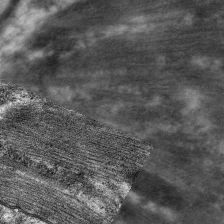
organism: C. elegans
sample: Pharynx